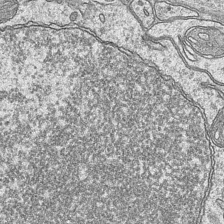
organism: Mouse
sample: CA1 Hippocampus